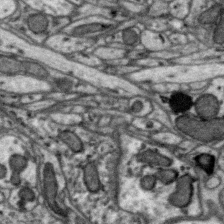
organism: Zebra finch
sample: Brain